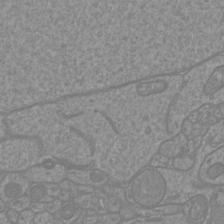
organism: Mouse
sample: Cortical neurons